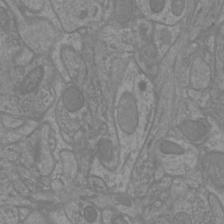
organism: Mouse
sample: Cortical neurons